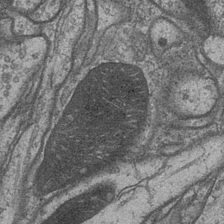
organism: Drosophila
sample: Optic medulla